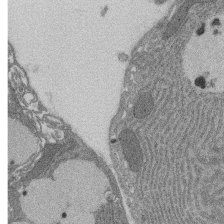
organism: Rat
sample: Salivary granule